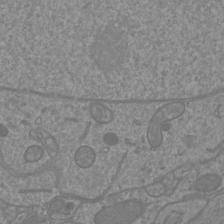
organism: Mouse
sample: Cortical neurons